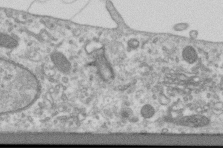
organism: Human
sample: Centriole in RPE cells